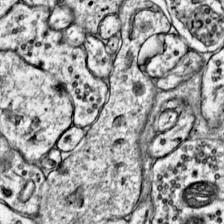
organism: Mouse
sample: Primary visual cortex